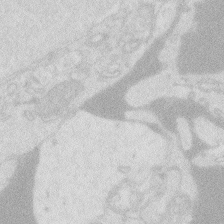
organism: Zebrafish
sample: Macrophage